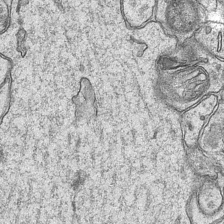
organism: Mouse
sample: CA1 Hippocampus